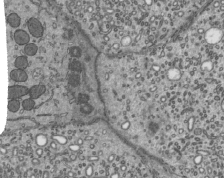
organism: Mouse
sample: Mouse epididymis efferent ductule cilia